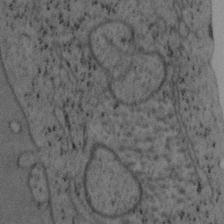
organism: Human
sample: HeLa cells